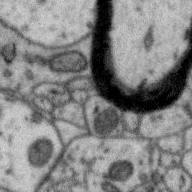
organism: Zebra finch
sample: Brain